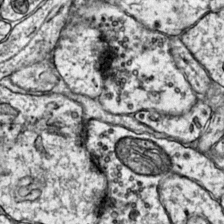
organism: Mouse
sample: Primary visual cortex